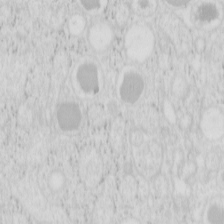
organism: Mouse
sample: Pancreas